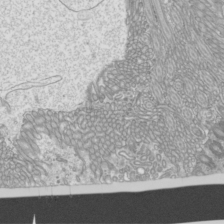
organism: Mouse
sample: Cilia; mouse epididymis